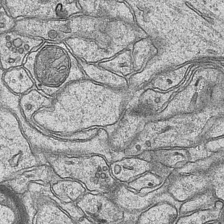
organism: Mouse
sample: CA1 Hippocampus